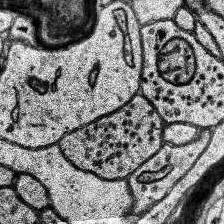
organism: Human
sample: Temporal Lobe